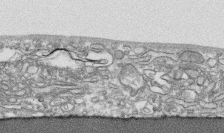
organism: Human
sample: CRL-1474